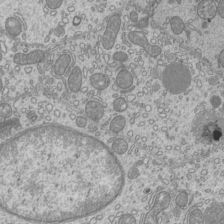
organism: Mouse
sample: Cilia; mouse epididymis